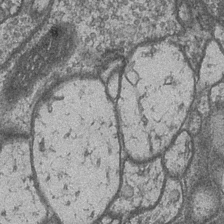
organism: Drosophila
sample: Optic medulla